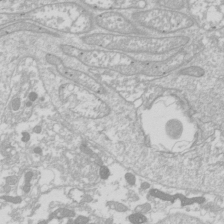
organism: Drosophila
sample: Cell division; meiosis; drosophila spermatocytes